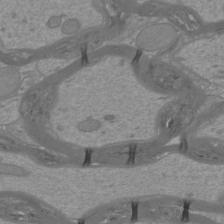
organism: Mouse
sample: Cortical neurons